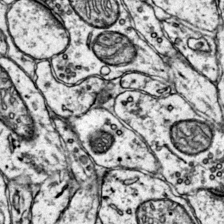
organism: Mouse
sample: Primary visual cortex